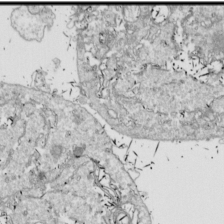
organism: Drosophila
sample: Cell division; meiosis; drosophila spermatocytes